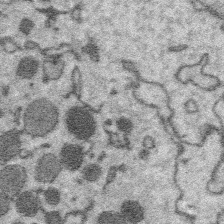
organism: Platynereis dumerilii